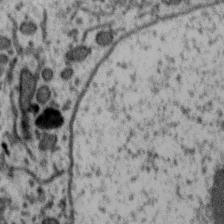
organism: Zebra finch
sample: Brain